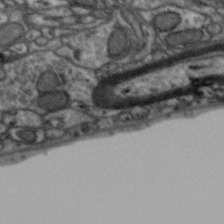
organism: Zebra finch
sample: Brain